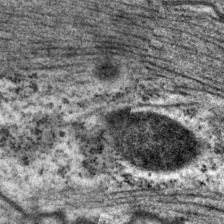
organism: P. pacificus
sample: Pharynx